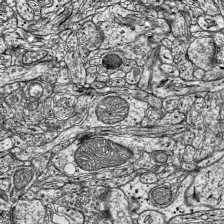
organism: Mouse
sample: Visual Cortex